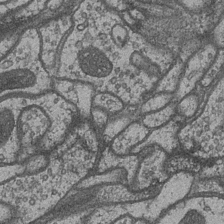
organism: Drosophila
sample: Optic medulla